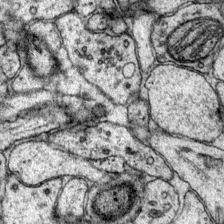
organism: Mouse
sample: Primary visual cortex